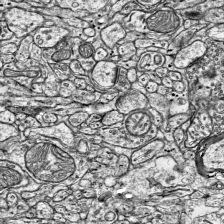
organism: Mouse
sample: Visual Cortex